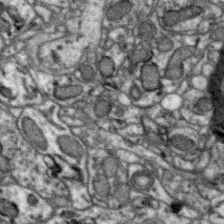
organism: Zebra finch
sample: Brain